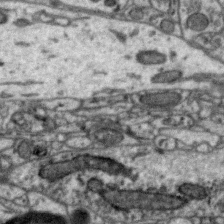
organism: Zebra finch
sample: Brain